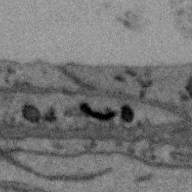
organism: Zebra finch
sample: Brain